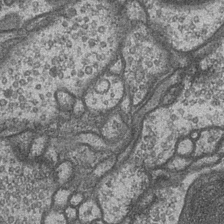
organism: Drosophila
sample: Optic medulla